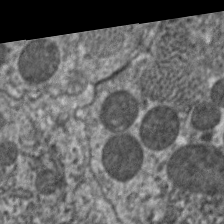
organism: C. elegans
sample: Pharynx